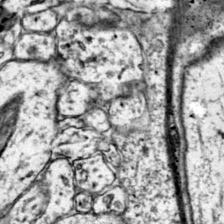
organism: Mouse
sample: Primary visual cortex